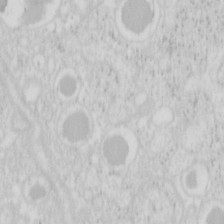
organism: Mouse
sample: Pancreas